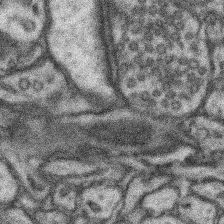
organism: Mouse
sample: Somatosensory cortex neuropil